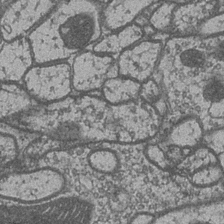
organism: Drosophila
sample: Optic medulla